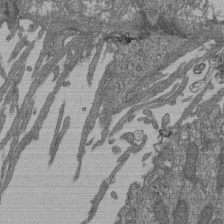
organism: Human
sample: Retinal organoid Rod and Cone cells